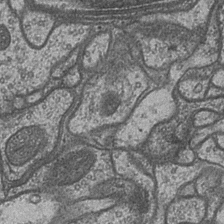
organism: Drosophila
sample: Optic medulla